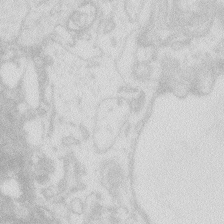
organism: Zebrafish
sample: Macrophage